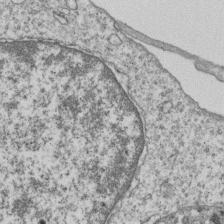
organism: Human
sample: MDA-MB-231 cells